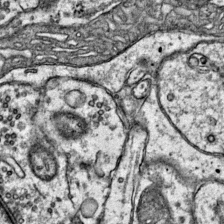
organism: Mouse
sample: Primary visual cortex